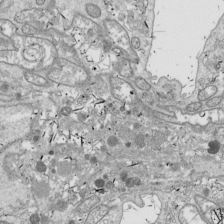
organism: Drosophila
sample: Cell division; meiosis; drosophila spermatocytes